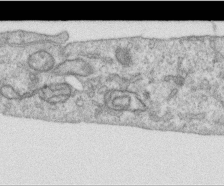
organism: Human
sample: Centriole in RPE cells